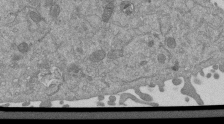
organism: Mouse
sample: ED-1 cell nuclei; centrioles